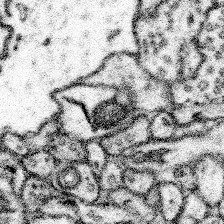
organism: Mouse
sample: Somatosensory cortex neuropil